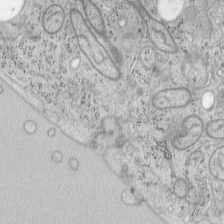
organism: Mouse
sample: OT-I killer T cells with ID8 ovarian cancer cells